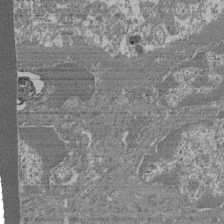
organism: Mouse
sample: Glomerulus